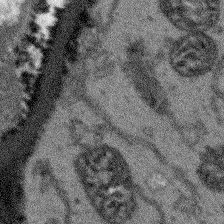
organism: Arabidopsis thaliana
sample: Root tip